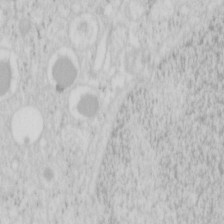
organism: Mouse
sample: Pancreas